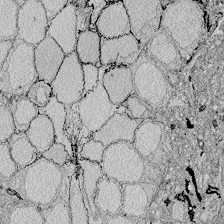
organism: Zebrafish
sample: Whole-Brain